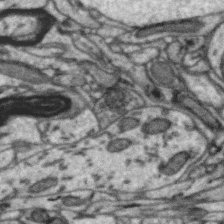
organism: Zebra finch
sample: Brain